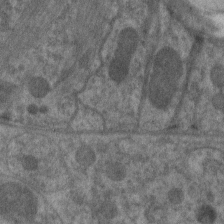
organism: C. elegans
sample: Pharynx